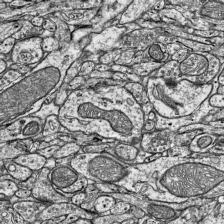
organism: Mouse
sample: Visual Cortex